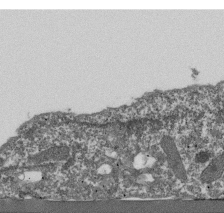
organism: Dictyostelium discoideum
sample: Dictyostelium multivesicular bodies